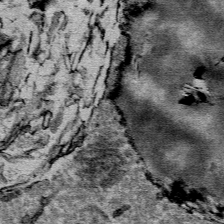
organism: Mouse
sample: Mouse Salivary gland